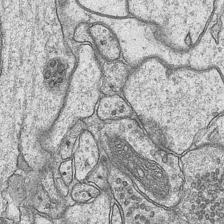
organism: Mouse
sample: CA1 Hippocampus